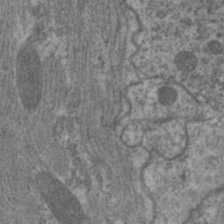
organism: C. elegans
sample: Pharynx